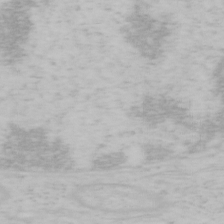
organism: Mouse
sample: OT-I killer T cells with ID8 ovarian cancer cells